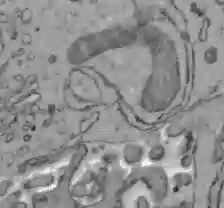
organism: C57BL Mouse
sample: Liver